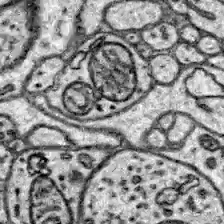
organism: Zebrafish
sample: Brain